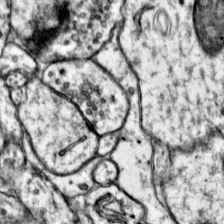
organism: Mouse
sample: Primary visual cortex